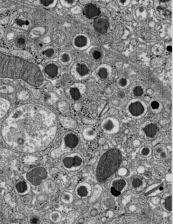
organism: C57BL Mouse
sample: Pancreatic islet